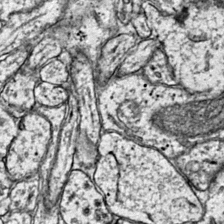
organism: Mouse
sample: Primary visual cortex